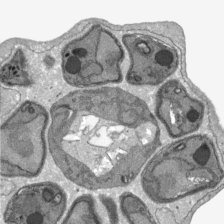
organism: Plasmodium falciparum